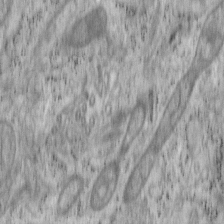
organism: Human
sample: HeLa cells